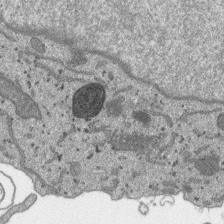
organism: Human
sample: Lung epithelial cells infected with SARS-CoV-2